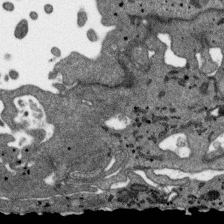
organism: Human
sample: Lung epithelial cells, uninfected (mock) control